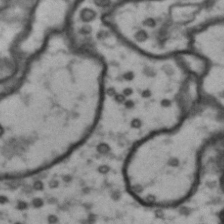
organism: Drosophila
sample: Brain